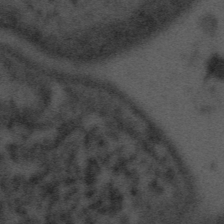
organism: Tuwongella immobilis